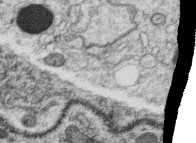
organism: C. elegans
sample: C. elegans oocyte; sperm cells